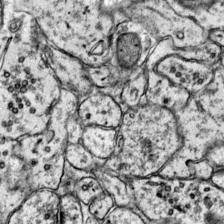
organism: Mouse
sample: Primary visual cortex